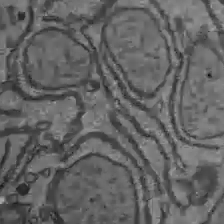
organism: C57BL Mouse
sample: Liver